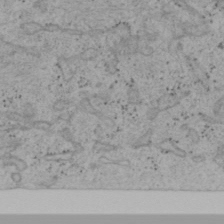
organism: Human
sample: HeLa cells